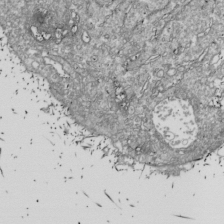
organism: Drosophila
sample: Cell division; meiosis; drosophila spermatocytes